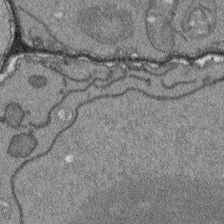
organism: Arabidopsis thaliana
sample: Root tip